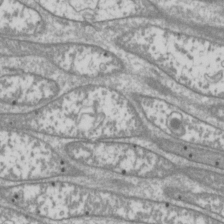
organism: Drosophila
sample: Cell division; meiosis; drosophila spermatocytes